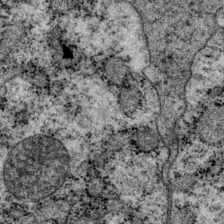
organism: P. pacificus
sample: Pharynx